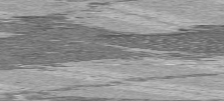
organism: C57BL Mouse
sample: Heart